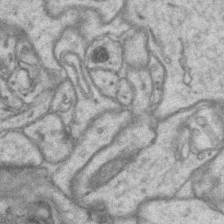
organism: Mouse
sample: CA1 Hippocampus